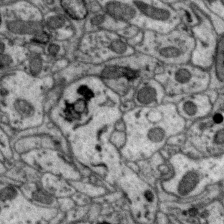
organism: Zebra finch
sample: Brain